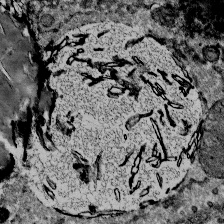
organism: Mouse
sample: Mouse Salivary gland